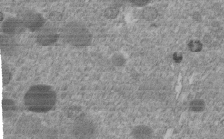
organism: C. elegans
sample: C. elegans embryo early stage